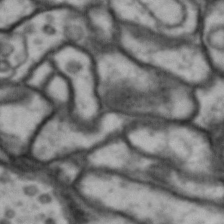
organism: Drosophila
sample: Brain